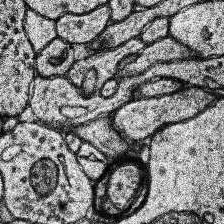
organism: Human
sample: Temporal Lobe